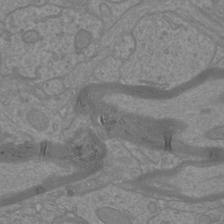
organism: Mouse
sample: Cortical neurons